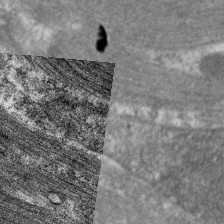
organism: C. elegans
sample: Pharynx